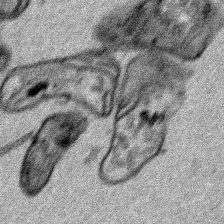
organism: Human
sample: Mitochondria in HCT116 cells